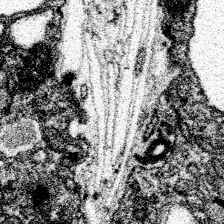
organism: Spongilla lacustris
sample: Neuroid cell